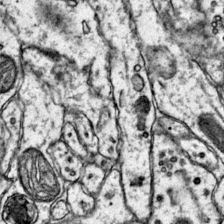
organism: Mouse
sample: Primary visual cortex